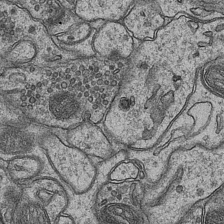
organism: Mouse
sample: CA1 Hippocampus